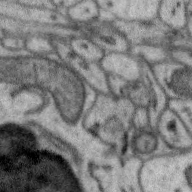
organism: Zebra finch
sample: Brain